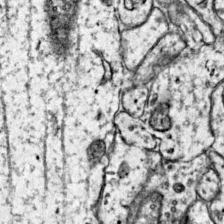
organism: Mouse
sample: Primary visual cortex